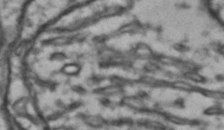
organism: Drosophila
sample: Brain